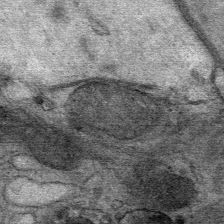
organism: Mouse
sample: Mouse Salivary gland